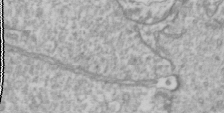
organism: Drosophila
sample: Cell division; meiosis; drosophila spermatocytes